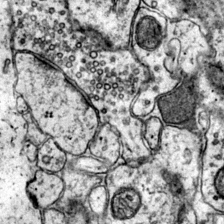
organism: Mouse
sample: Primary visual cortex